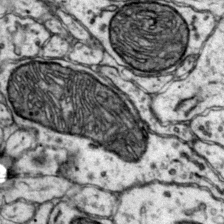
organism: Mouse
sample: Primary visual cortex